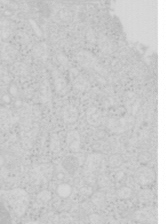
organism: Mouse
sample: Pancreas